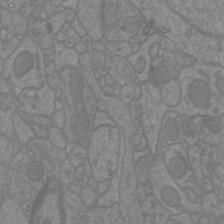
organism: Mouse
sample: Cortical neurons